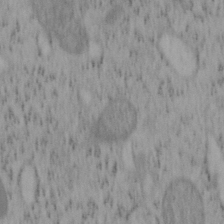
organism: Mouse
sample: OT-I killer T cells with ID8 ovarian cancer cells